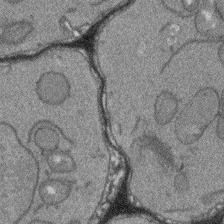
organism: Arabidopsis thaliana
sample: Root tip